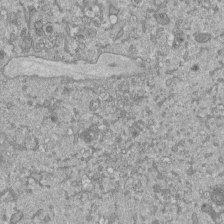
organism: Mouse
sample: ED-1 cell nuclei; centrioles